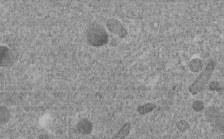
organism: C. elegans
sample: C. elegans embryo early stage